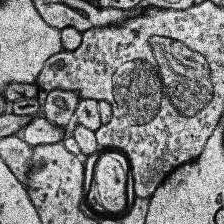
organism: Human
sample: Temporal Lobe